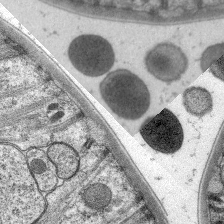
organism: C. elegans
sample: Pharynx